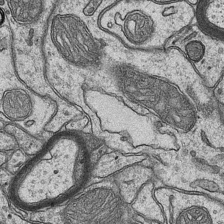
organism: Mouse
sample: CA1 Hippocampus